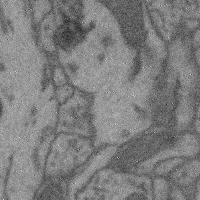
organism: Mouse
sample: Cerebral cortex